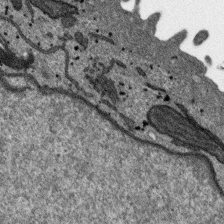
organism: Human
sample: Lung epithelial cells, uninfected (mock) control